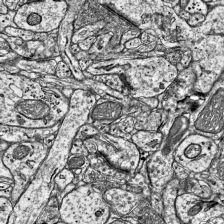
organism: Mouse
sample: Visual Cortex